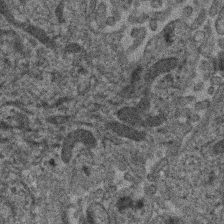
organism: Human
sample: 1205lu cells